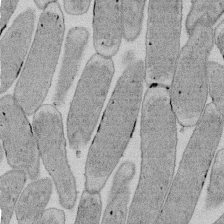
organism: E. coli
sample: Bacterial nucleoid